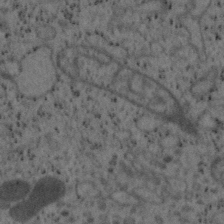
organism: Human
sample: HeLa cells